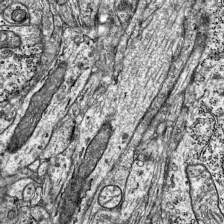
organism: Mouse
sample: Visual Cortex